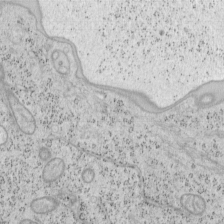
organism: Mouse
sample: OT-I killer T cells with ID8 ovarian cancer cells